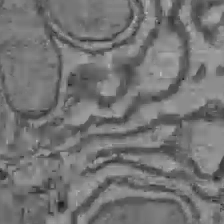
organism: C57BL Mouse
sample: Liver